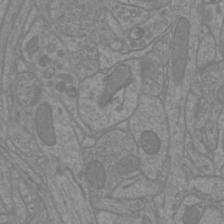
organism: Mouse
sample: Cortical neurons